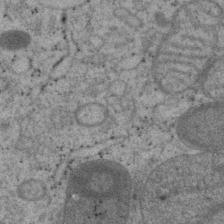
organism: Human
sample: HeLa cells